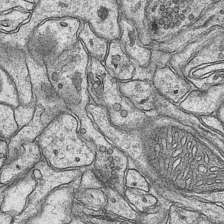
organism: Mouse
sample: CA1 Hippocampus